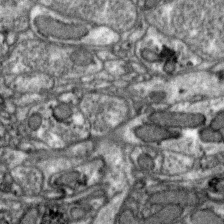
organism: Zebra finch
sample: Brain